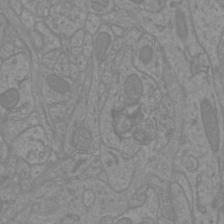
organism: Mouse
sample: Cortical neurons